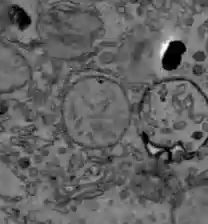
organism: C57BL Mouse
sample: Liver